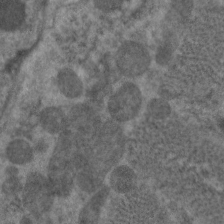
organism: C. elegans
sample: Pharynx